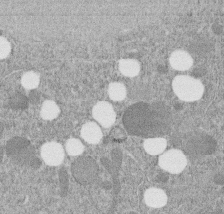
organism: C. elegans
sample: C. elegans embryo early stage